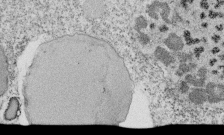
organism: Tetrahymena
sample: Cilia in tetrahymena